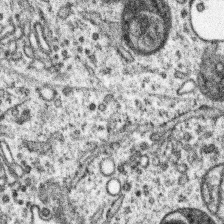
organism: Human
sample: HeLa cells